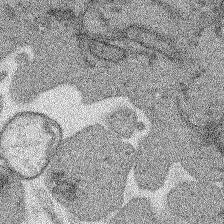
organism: Human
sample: HeLa cells